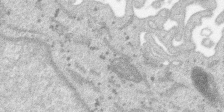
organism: Human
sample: Lung epithelial cells infected with SARS-CoV-2